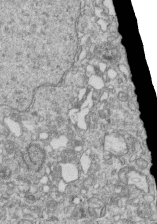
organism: Human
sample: HeLa cell HIV synapse